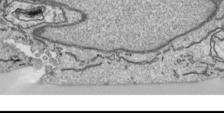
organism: Human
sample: Mitochondria in HCT116 cells